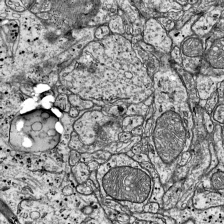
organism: Mouse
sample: Visual Cortex